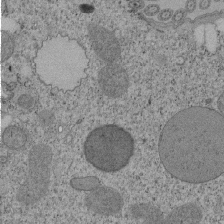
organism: Tetrahymena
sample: Cilia in tetrahymena